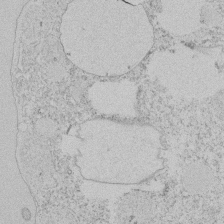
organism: Tetrahymena